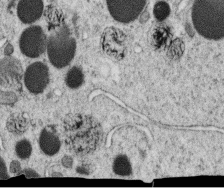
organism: C. elegans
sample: C. elegans oocyte; sperm cells